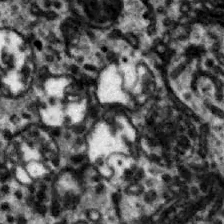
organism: Human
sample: HeLa cells